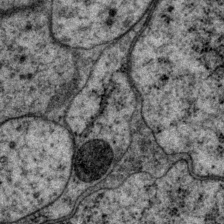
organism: P. pacificus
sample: Pharynx